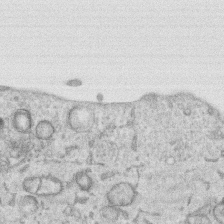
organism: Human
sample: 1205lu cells